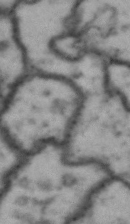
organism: Drosophila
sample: Brain